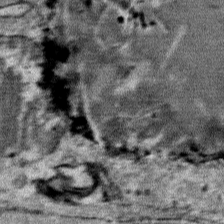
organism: Mouse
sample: Mouse Salivary gland